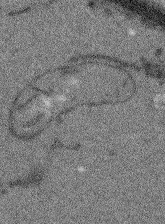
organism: Arabidopsis thaliana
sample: Root tip